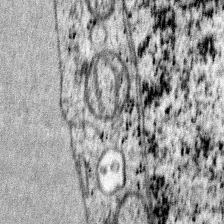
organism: Human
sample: HeLa cells